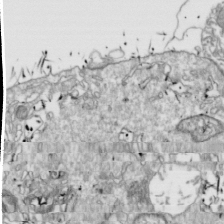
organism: Drosophila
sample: Cell division; meiosis; drosophila spermatocytes